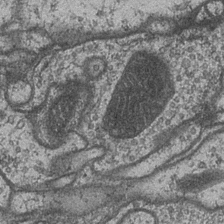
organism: Drosophila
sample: Optic medulla